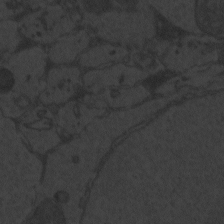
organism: Zebrafish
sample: Macrophage infected with Toxoplasma gondii